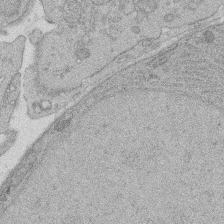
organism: Rat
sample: Salivary granule